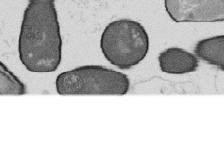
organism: B. subtilis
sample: Bacterial spore